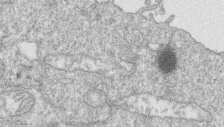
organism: Human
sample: HeLa cell HIV synapse